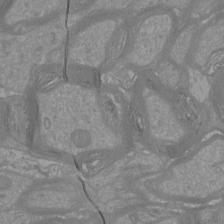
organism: Mouse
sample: Cortical neurons